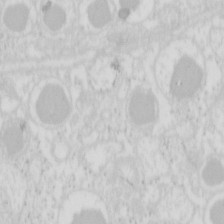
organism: Mouse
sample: Pancreas